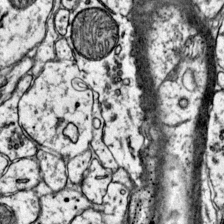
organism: Mouse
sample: Primary visual cortex